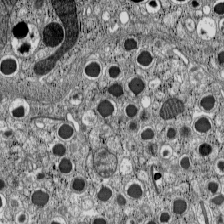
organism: C57BL Mouse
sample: Pancreatic islet